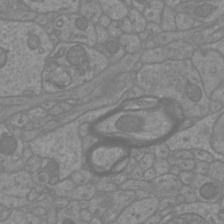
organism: Mouse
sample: Cortical neurons